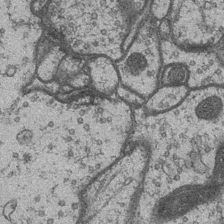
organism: Drosophila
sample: Optic medulla